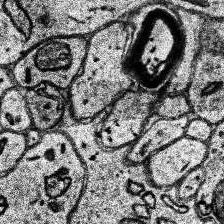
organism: Human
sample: Temporal Lobe